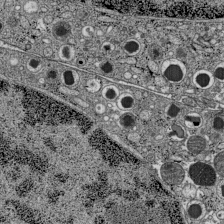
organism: C57BL Mouse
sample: Pancreatic islet